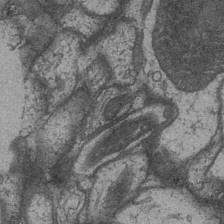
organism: Drosophila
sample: Optic medulla